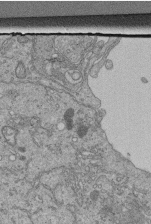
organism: Human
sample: Retinal organoid Rod and Cone cells